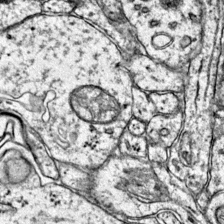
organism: Mouse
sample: Primary visual cortex